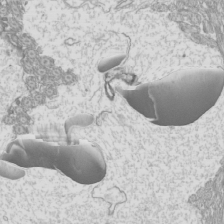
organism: Mouse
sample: Cilia; mouse epididymis